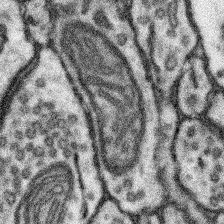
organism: Mouse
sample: Somatosensory cortex neuropil